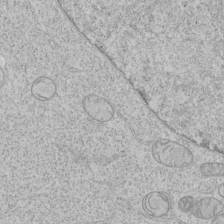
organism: Human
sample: Mitochondria in HCT116 cells